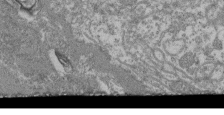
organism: Mouse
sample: Glomerulus